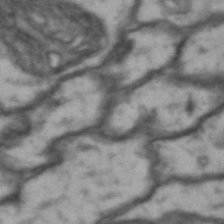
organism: Drosophila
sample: Brain